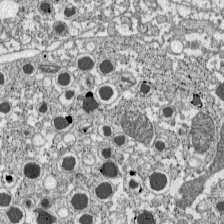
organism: C57BL Mouse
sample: Pancreatic islet